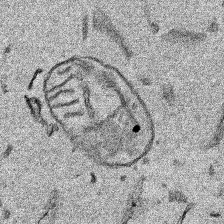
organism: Human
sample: Mitochondria in HCT116 cells